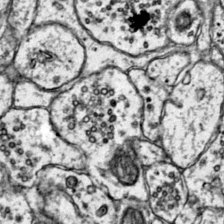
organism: Mouse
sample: Primary visual cortex